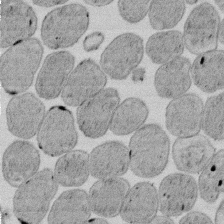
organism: E. coli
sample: Bacterial nucleoid